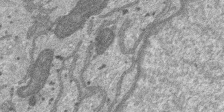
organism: Human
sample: Lung epithelial cells infected with SARS-CoV-2